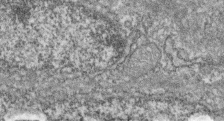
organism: Zebrafish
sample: Cilia; retinal pigment epithelium